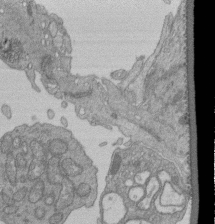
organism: Human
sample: Retinal organoid Rod and Cone cells